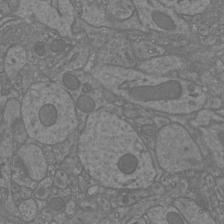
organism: Mouse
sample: Cortical neurons